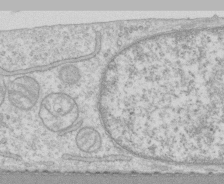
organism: Human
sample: CRL-1474